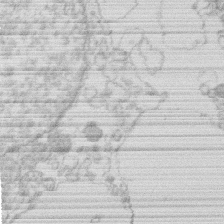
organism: Human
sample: Macrophage cells